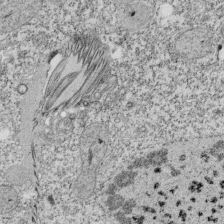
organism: Tetrahymena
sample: Cilia in tetrahymena